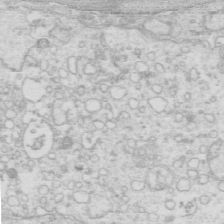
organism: Mouse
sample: Multiciliated cells